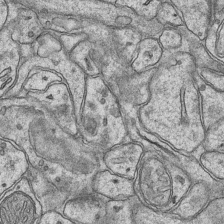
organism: Mouse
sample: CA1 Hippocampus